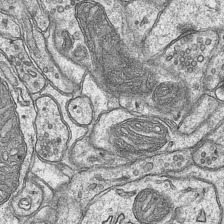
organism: Mouse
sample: CA1 Hippocampus